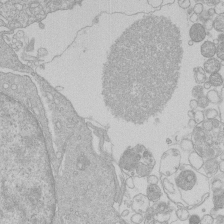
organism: Human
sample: Macrophage cells